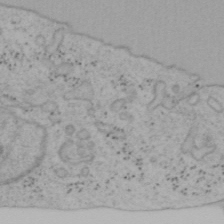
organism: Human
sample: HeLa cells